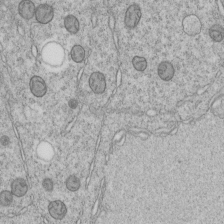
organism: C. elegans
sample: C. elegans embryo early stage